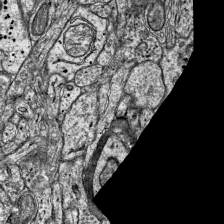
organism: Mouse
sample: Visual Cortex